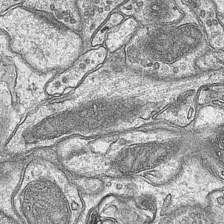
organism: Mouse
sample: CA1 Hippocampus